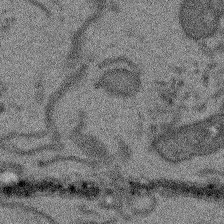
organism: Arabidopsis thaliana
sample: Root tip